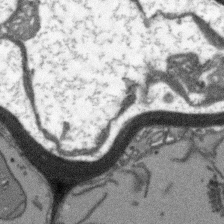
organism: Arabidopsis thaliana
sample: Root tip